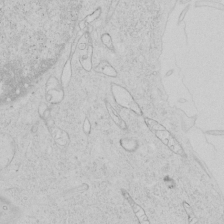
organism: Human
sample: Mitochondria in HCT116 cells